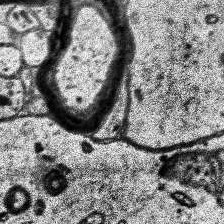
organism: Human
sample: Temporal Lobe